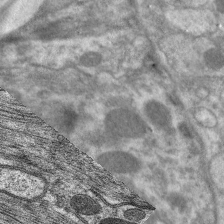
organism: C. elegans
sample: Pharynx